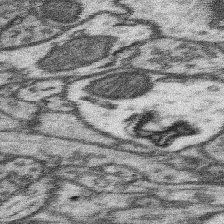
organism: Mouse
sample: Somatosensory cortex neuropil